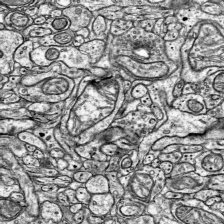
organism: Mouse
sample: Visual Cortex